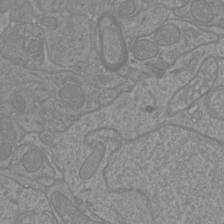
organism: Mouse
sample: Cortical neurons